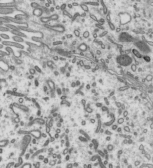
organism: Mouse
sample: Mouse epididymis efferent ductule cilia